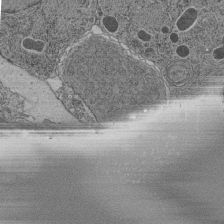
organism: C. elegans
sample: C. elegans pharynx